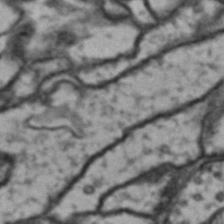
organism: Drosophila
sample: Brain